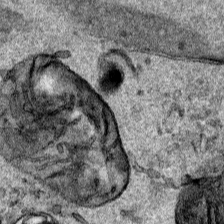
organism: Human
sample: Mitochondria in HCT116 cells